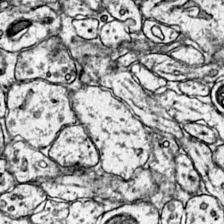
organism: Mouse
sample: Primary visual cortex